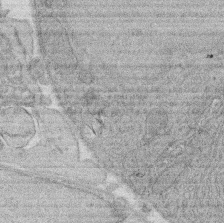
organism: Rat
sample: Salivary granule